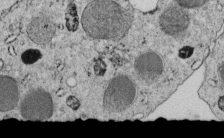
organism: C. elegans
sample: C. elegans embryo early stage